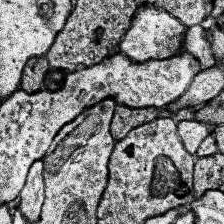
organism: Human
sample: Temporal Lobe